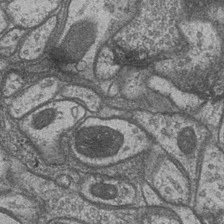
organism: Drosophila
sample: Optic medulla